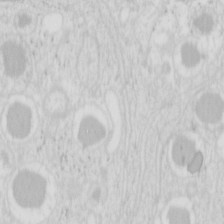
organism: Mouse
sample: Pancreas